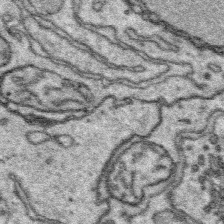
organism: Platynereis dumerilii